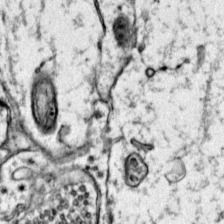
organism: Mouse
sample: Primary visual cortex